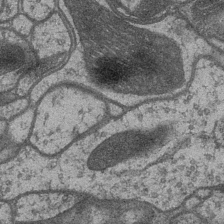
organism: Drosophila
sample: Optic medulla